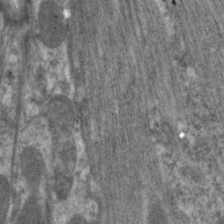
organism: C. elegans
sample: Pharynx